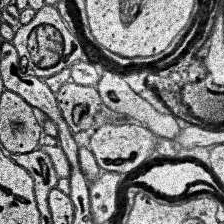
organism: Human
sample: Temporal Lobe